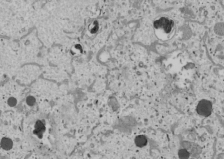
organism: Human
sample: Mitochondria in U2OS cells